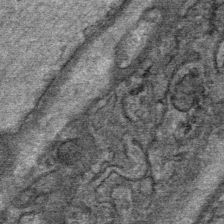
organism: Mouse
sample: Mouse Salivary gland